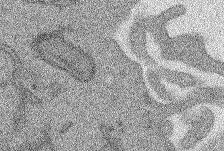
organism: Human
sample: HeLa cells